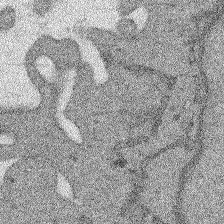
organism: Human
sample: HeLa cells